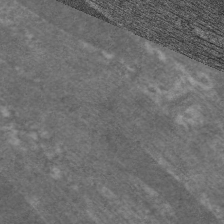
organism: C. elegans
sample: Pharynx